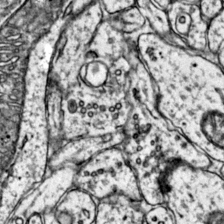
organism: Mouse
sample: Primary visual cortex